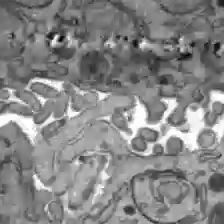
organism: C57BL Mouse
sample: Liver